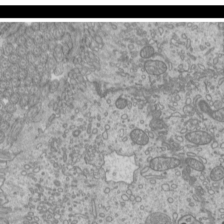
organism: Mouse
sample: Cilia; mouse epididymis